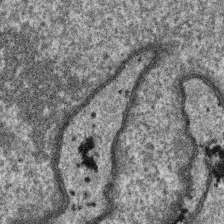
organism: Human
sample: Lung epithelial cells infected with SARS-CoV-2